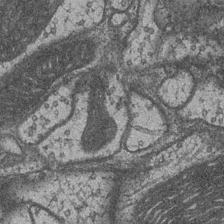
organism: Drosophila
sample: Optic medulla